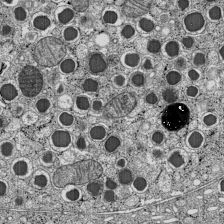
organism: C57BL Mouse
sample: Pancreatic islet